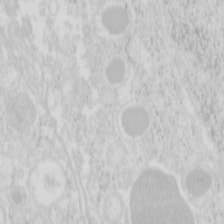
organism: Mouse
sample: Pancreas